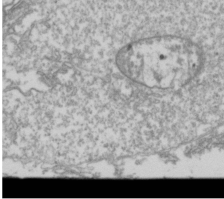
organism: Drosophila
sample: Cell division; meiosis; drosophila spermatocytes